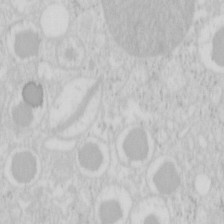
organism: Mouse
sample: Pancreas